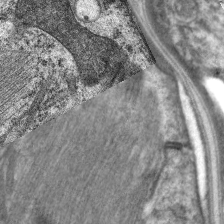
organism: C. elegans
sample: Pharynx